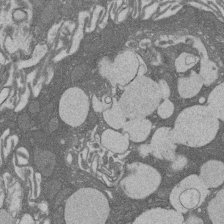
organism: Rat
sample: Salivary granule